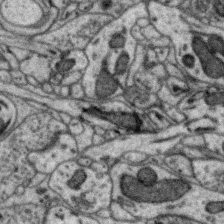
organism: Zebra finch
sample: Brain